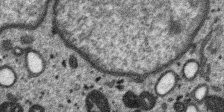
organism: Human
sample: Lung epithelial cells infected with SARS-CoV-2